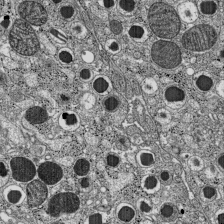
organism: C57BL Mouse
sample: Pancreatic islet